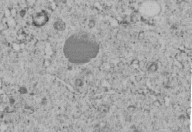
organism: C. elegans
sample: C. elegans embryo early stage